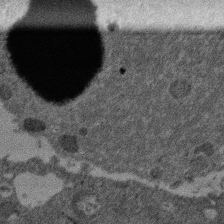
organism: Mouse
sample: Dividing mouse embryo 1 cell stage